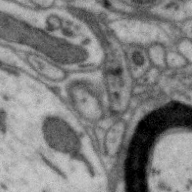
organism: Zebra finch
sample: Brain